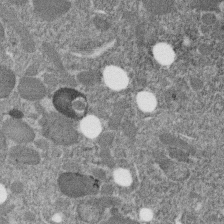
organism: C. elegans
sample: C. elegans embryo early stage